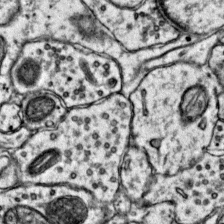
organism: Mouse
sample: Primary visual cortex